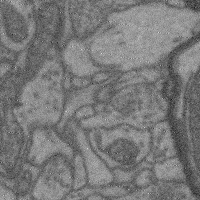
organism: Mouse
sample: Cerebral cortex